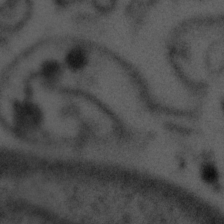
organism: Tuwongella immobilis